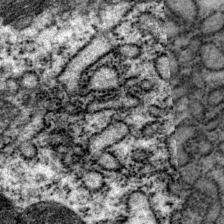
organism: P. pacificus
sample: Pharynx